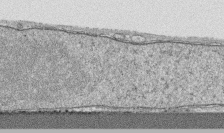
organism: Human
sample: CRL-1474